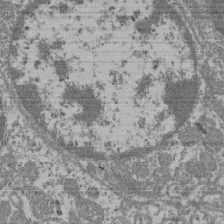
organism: Mouse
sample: Glomerulus